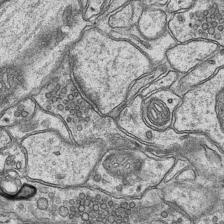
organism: Mouse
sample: CA1 Hippocampus